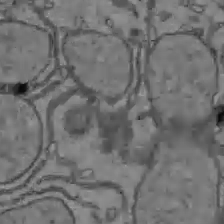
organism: C57BL Mouse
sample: Liver